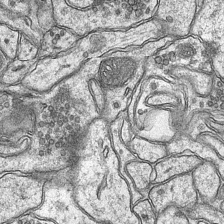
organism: Mouse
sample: CA1 Hippocampus